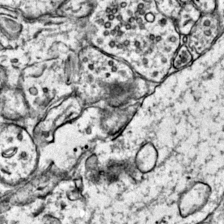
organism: Mouse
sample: Primary visual cortex